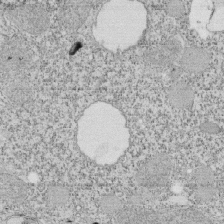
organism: Tetrahymena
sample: Cilia in tetrahymena